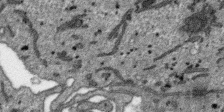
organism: Human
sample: Lung epithelial cells, uninfected (mock) control